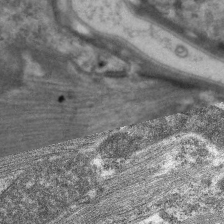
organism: C. elegans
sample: Pharynx